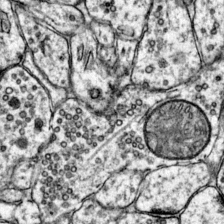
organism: Mouse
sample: Primary visual cortex